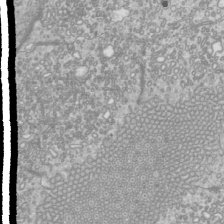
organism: Mouse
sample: Cilia; mouse epididymis